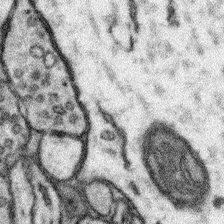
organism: Mouse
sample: Somatosensory cortex neuropil